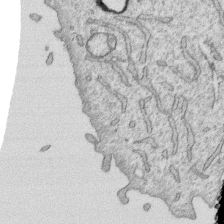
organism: Human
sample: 1205lu cells